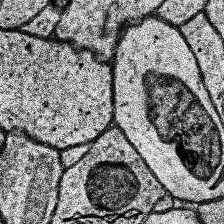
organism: Human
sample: Temporal Lobe